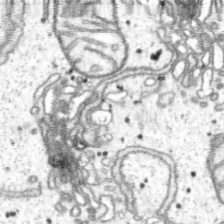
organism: Human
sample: HeLa cells